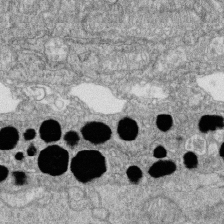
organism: Zebrafish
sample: Cilia; retinal pigment epithelium